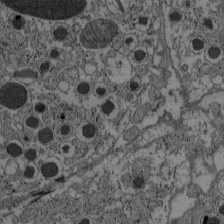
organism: C57BL Mouse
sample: Pancreatic islet